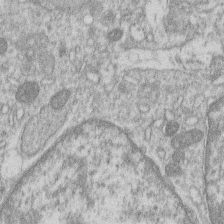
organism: Human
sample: Macrophage cells